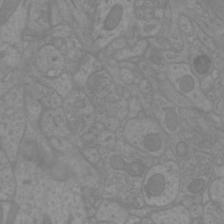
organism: Mouse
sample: Cortical neurons